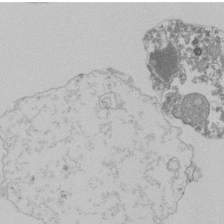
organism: Mouse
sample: Activated Pmel transgenic CD8+ T Cells